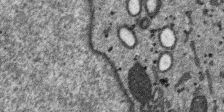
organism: Human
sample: Lung epithelial cells infected with SARS-CoV-2